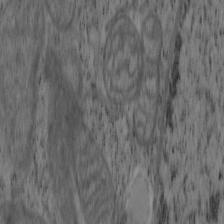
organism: Human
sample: HeLa cells